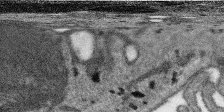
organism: Human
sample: Lung epithelial cells infected with SARS-CoV-2